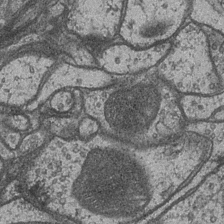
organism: Drosophila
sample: Optic medulla